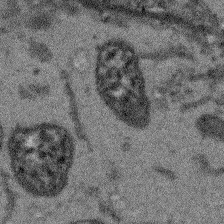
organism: Arabidopsis thaliana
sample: Root tip